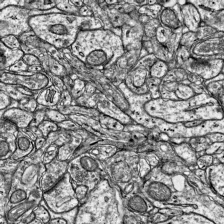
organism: Mouse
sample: Visual Cortex